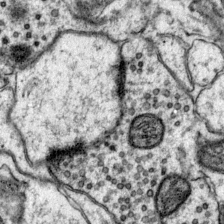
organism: Mouse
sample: Primary visual cortex